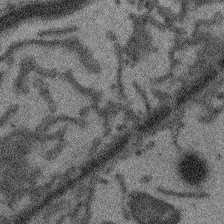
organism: Arabidopsis thaliana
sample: Root tip